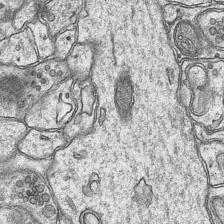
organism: Mouse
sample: CA1 Hippocampus